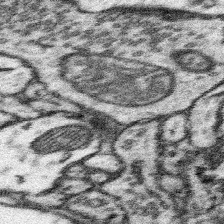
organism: Mouse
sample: Somatosensory cortex neuropil